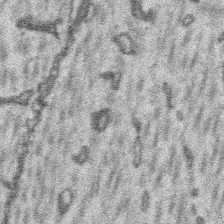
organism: Platynereis dumerilii